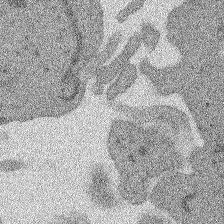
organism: Human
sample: HeLa cells